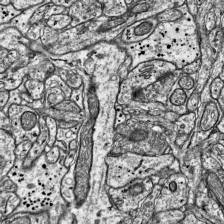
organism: Mouse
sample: Visual Cortex